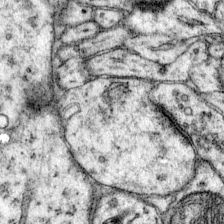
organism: Mouse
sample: Primary visual cortex